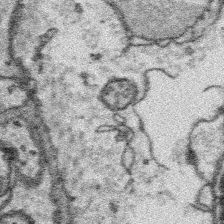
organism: Platynereis dumerilii